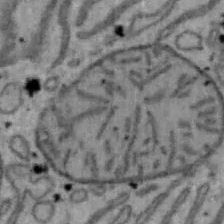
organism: Mouse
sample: Liver